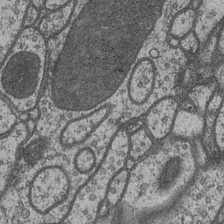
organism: Drosophila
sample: Optic medulla